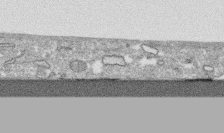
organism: Human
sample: CRL-1474